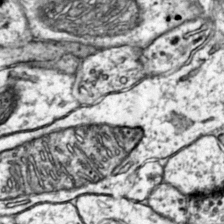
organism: Mouse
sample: Primary visual cortex